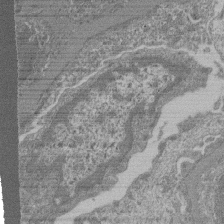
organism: Mouse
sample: Glomerulus